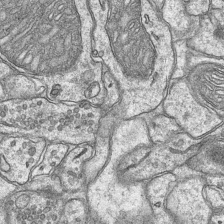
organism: Mouse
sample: CA1 Hippocampus